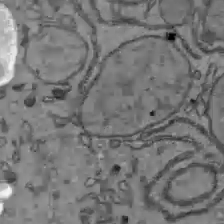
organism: C57BL Mouse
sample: Liver